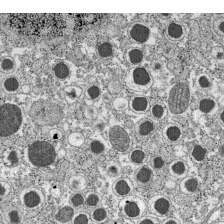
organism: C57BL Mouse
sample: Pancreatic islet